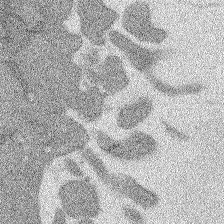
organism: Human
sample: HeLa cells